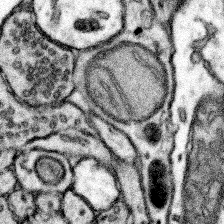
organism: Mouse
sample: Somatosensory cortex neuropil